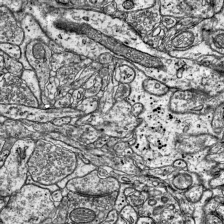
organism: Mouse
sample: Visual Cortex